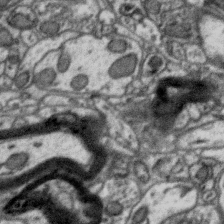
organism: Zebra finch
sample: Brain